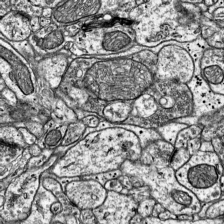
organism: Mouse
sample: Visual Cortex